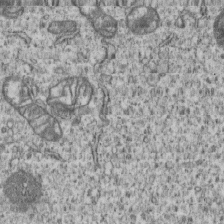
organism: Human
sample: MDA-MB-231 cells